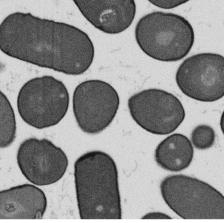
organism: B. subtilis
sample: Bacterial spore